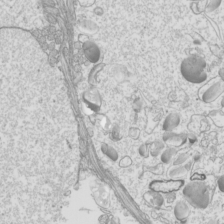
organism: Mouse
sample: Cilia; mouse epididymis